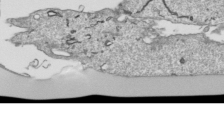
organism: Human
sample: Mitochondria in HCT116 cells